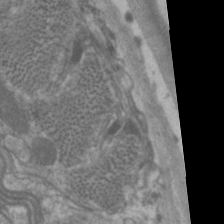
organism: C. elegans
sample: Pharynx